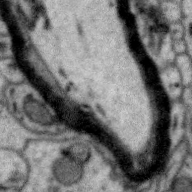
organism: Zebra finch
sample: Brain